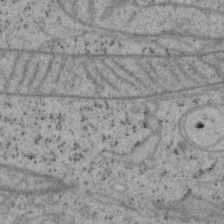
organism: Human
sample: HeLa cells